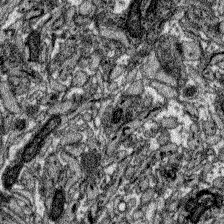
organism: Zebrafish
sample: Larval olfactory bulb